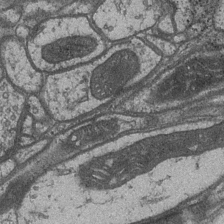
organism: Drosophila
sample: Optic medulla